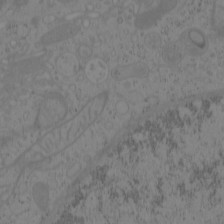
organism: Human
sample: HeLa cells